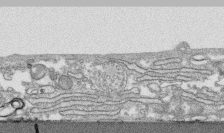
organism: Human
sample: CRL-1474